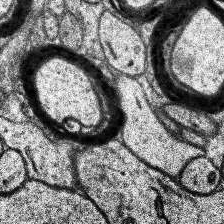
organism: Human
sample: Temporal Lobe